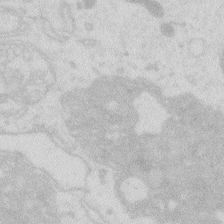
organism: Zebrafish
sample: Macrophage